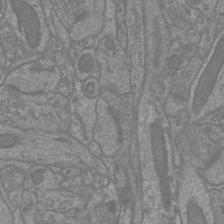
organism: Mouse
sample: Cortical neurons